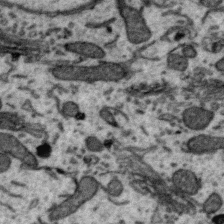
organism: Zebra finch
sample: Brain